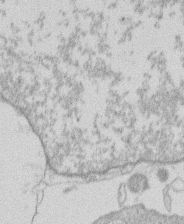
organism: Human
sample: Macrophage cells